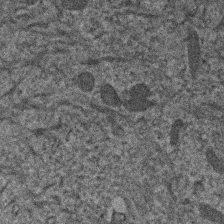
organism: Human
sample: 1205lu cells